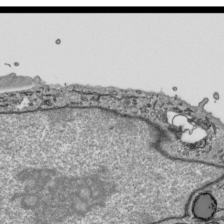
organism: Human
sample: Mitochondria in HCT116 cells